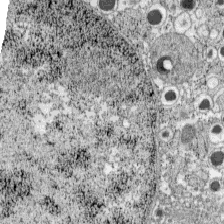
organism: C57BL Mouse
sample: Pancreatic islet